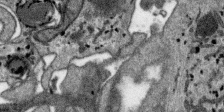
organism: Human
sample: Lung epithelial cells, uninfected (mock) control